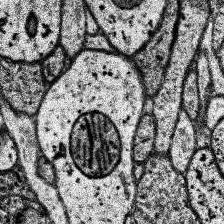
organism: Human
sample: Temporal Lobe